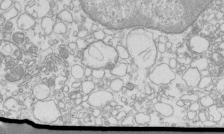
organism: Mouse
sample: Macrophages